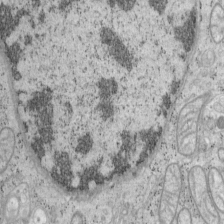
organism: Mouse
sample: OT-I killer T cells with ID8 ovarian cancer cells